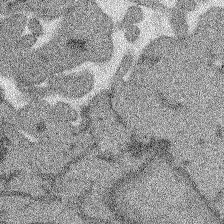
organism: Human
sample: HeLa cells